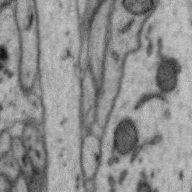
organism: Zebra finch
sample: Brain